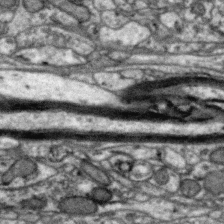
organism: Zebra finch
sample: Brain